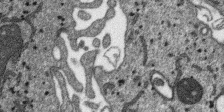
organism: Human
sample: Lung epithelial cells infected with SARS-CoV-2